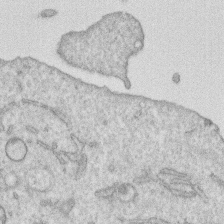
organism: Human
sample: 1205lu cells